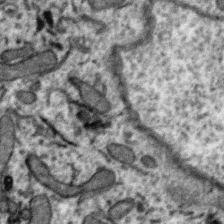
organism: Zebra finch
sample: Brain